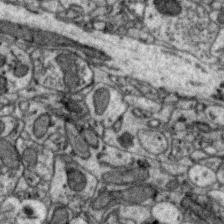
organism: Zebra finch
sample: Brain